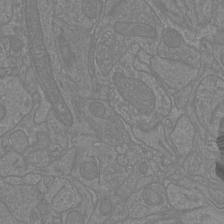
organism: Mouse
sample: Cortical neurons